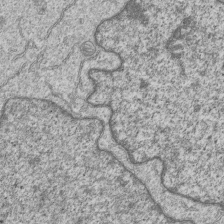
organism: Human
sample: MDA-MB-231 cells